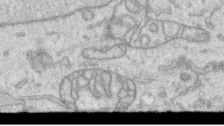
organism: Human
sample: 1205lu cells